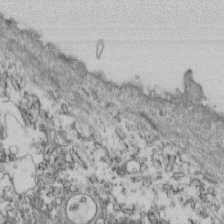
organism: Mouse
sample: Cilia; retinal pigment epithelium